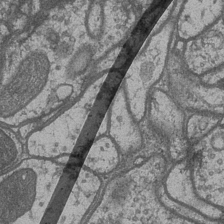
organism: Drosophila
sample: Optic medulla